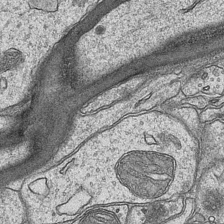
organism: Mouse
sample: CA1 Hippocampus